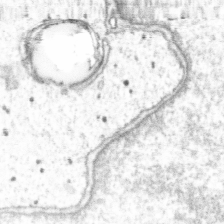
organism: Human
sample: HeLa cells